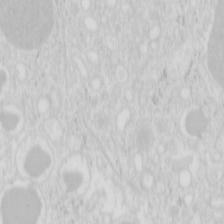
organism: Mouse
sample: Pancreas